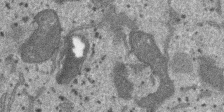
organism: Human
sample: Lung epithelial cells infected with SARS-CoV-2